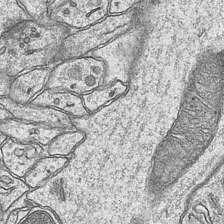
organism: Mouse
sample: CA1 Hippocampus